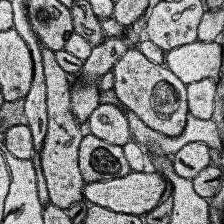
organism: Human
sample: Temporal Lobe